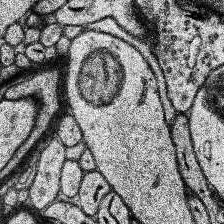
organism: Human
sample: Temporal Lobe